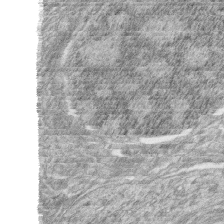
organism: Zebrafish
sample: synaptic ribbons in rod cells and cone cells